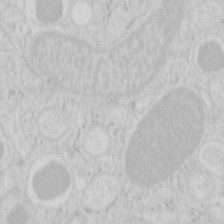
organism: Mouse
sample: Pancreas